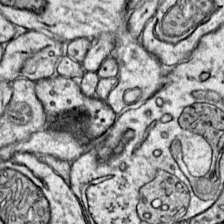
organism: Mouse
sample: Primary visual cortex